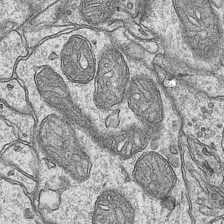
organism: Mouse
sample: CA1 Hippocampus